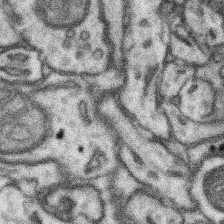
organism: Mouse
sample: Somatosensory cortex neuropil